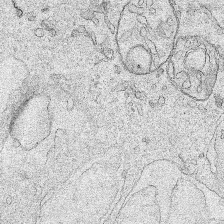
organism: Human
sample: Mitochondria in HCT116 cells